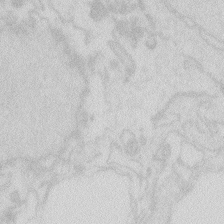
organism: Zebrafish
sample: Macrophage